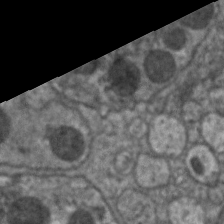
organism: C. elegans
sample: Pharynx